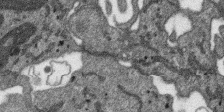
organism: Human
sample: Lung epithelial cells infected with SARS-CoV-2